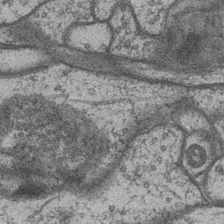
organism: Drosophila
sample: Optic medulla